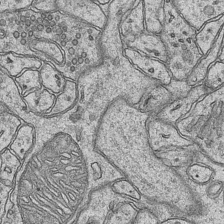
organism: Mouse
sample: CA1 Hippocampus